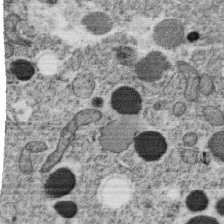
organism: C. elegans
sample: C. elegans oocyte; sperm cells